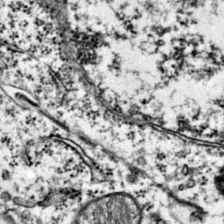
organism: Mouse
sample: Primary visual cortex